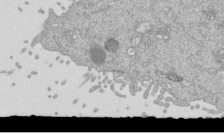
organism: Mouse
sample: ED-1 cell nuclei; centrioles